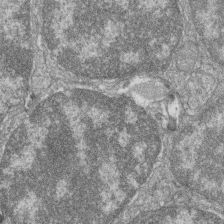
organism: Zebrafish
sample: Cilia; retinal pigment epithelium